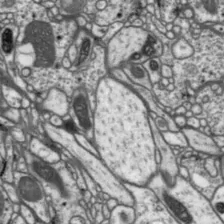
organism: Drosophila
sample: Protocerebral bridge